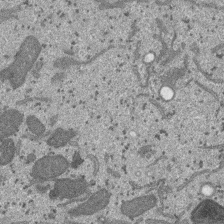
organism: Human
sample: Lung epithelial cells infected with SARS-CoV-2